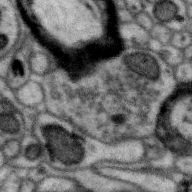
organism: Zebra finch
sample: Brain